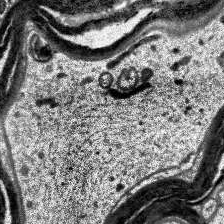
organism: Human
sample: Temporal Lobe